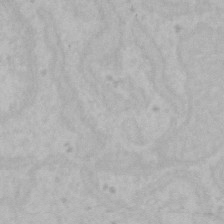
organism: Mouse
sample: Choroid plexus